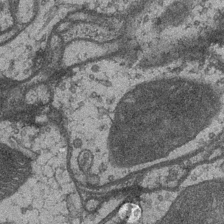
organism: Drosophila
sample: Optic medulla